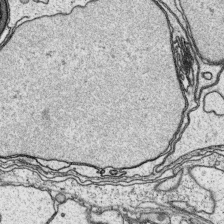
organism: Platynereis dumerilii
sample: Parapodia